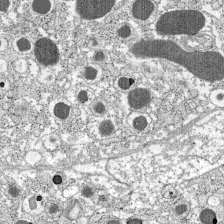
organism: C57BL Mouse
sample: Pancreatic islet